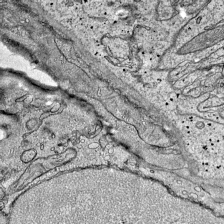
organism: Mouse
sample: Visual Cortex